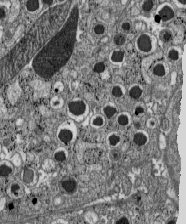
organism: C57BL Mouse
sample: Pancreatic islet